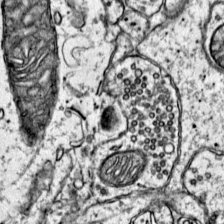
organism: Mouse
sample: Primary visual cortex